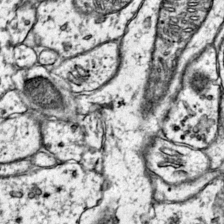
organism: Mouse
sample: Primary visual cortex